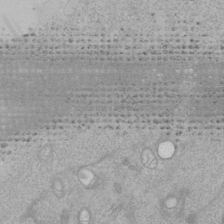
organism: Human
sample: Mitochondria in HCT116 cells